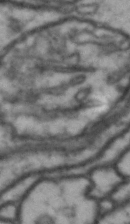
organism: Drosophila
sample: Brain